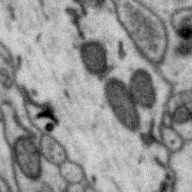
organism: Zebra finch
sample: Brain